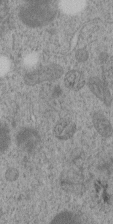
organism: C. elegans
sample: C. elegans embryo early stage